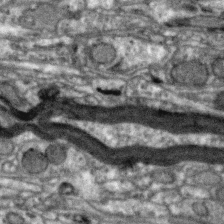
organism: Zebra finch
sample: Brain